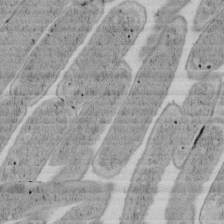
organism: E. coli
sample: Bacterial nucleoid